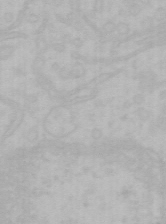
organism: Mouse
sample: Choroid plexus